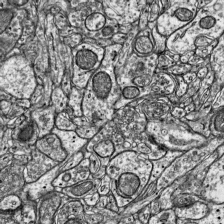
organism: Mouse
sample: Visual Cortex